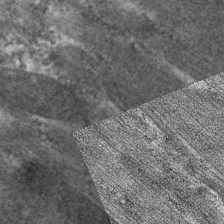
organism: C. elegans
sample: Pharynx